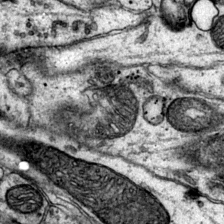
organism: Mouse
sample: Primary visual cortex